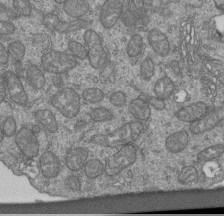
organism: Human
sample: Retinal organoid Rod and Cone cells